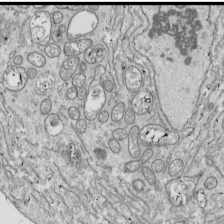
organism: Drosophila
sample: Cell division; meiosis; drosophila spermatocytes